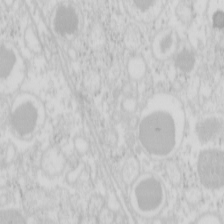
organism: Mouse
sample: Pancreas